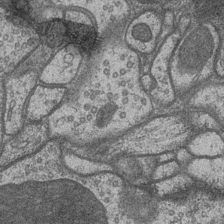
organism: Drosophila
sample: Optic medulla